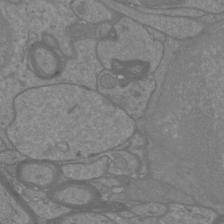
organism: Mouse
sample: Cortical neurons